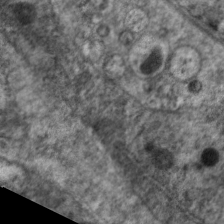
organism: C. elegans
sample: Pharynx